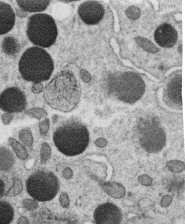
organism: C. elegans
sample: C. elegans oocyte; sperm cells